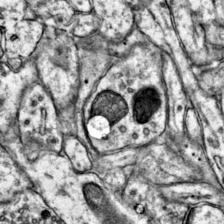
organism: Mouse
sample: Primary visual cortex